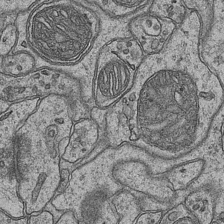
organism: Mouse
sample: CA1 Hippocampus